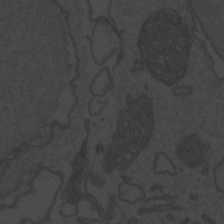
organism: Zebrafish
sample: Macrophage infected with Toxoplasma gondii